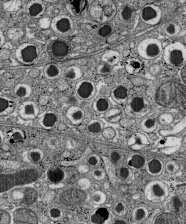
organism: C57BL Mouse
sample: Pancreatic islet